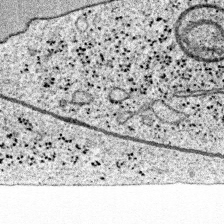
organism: Human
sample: HeLa cells